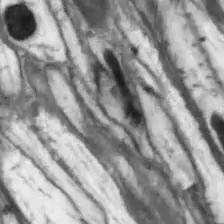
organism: Drosophila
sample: Optic lobe